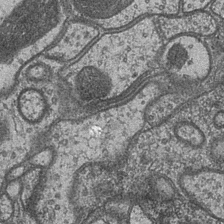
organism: Drosophila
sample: Optic medulla